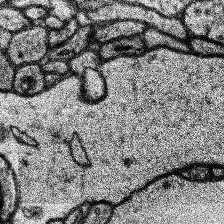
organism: Human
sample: Temporal Lobe